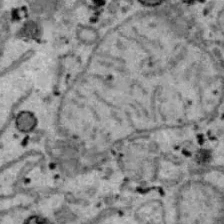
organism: Mouse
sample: Liver from an obese (ob/ob) mouse